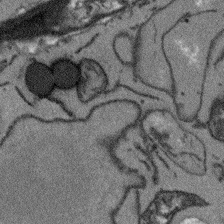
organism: Arabidopsis thaliana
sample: Root tip